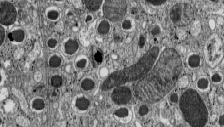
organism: C57BL Mouse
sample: Pancreatic islet